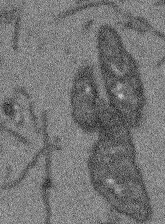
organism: Arabidopsis thaliana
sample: Root tip